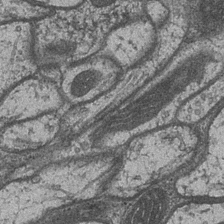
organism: Drosophila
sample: Optic medulla